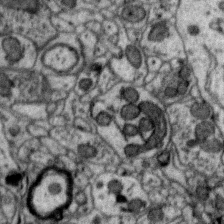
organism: Zebra finch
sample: Brain